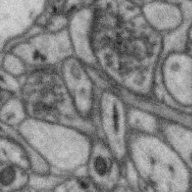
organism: Zebra finch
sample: Brain